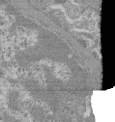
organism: Mouse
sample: Glomerulus